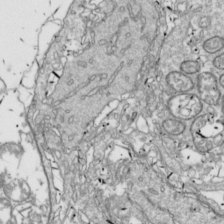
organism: Drosophila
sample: Cell division; meiosis; drosophila spermatocytes